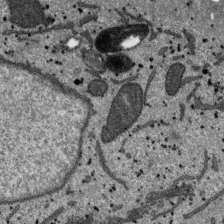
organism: Human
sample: Lung epithelial cells, uninfected (mock) control